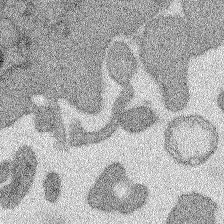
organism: Human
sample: HeLa cells